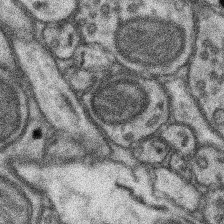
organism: Mouse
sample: Somatosensory cortex neuropil